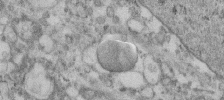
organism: Human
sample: Centriole in fibroblast cells